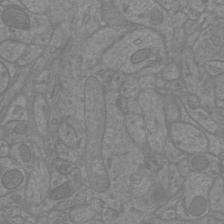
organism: Mouse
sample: Cortical neurons